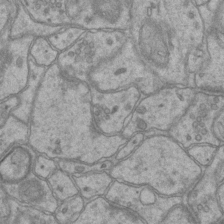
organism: Mouse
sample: CA1 Hippocampus